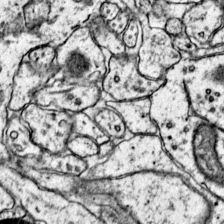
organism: Mouse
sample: Primary visual cortex